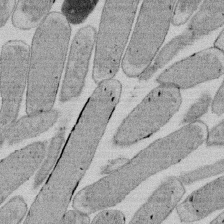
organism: E. coli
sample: Bacterial nucleoid